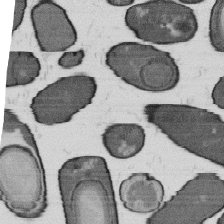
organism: B. subtilis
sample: Bacterial spore